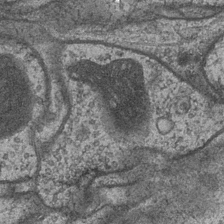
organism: Drosophila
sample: Optic medulla